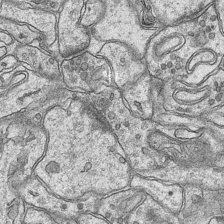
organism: Mouse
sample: CA1 Hippocampus